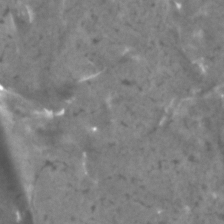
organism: Human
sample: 1205lu cells